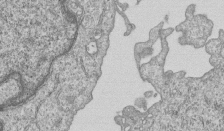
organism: Human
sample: MDA-MB-231 cells